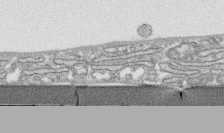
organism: Human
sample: CRL-1474